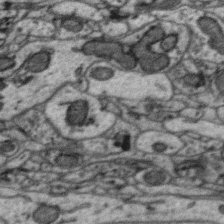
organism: Zebra finch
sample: Brain